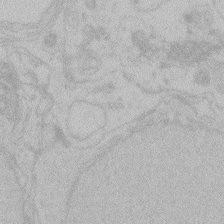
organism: Zebrafish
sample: Macrophage infected with Toxoplasma gondii